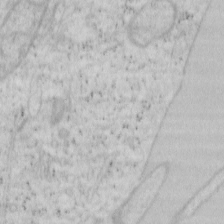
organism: Human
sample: HeLa cells